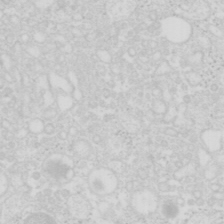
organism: Mouse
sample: Pancreas